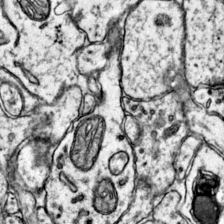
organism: Mouse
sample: Primary visual cortex